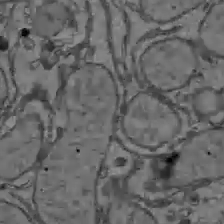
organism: C57BL Mouse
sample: Liver